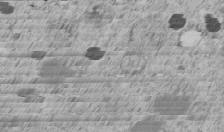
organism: C. elegans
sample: C. elegans embryo early stage